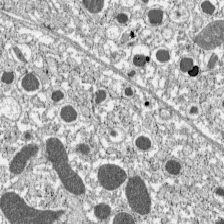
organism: C57BL Mouse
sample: Pancreatic islet